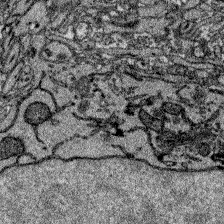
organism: Zebrafish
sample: Larval olfactory bulb